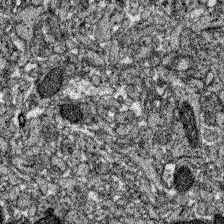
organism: Zebrafish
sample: Larval olfactory bulb